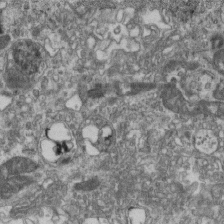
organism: Mouse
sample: Centriole in ependymal cells